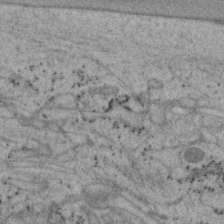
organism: Human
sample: HeLa cells